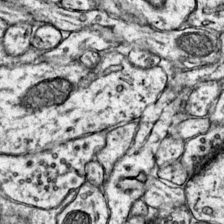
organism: Mouse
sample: Primary visual cortex